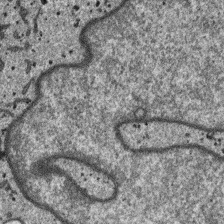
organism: Human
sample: Lung epithelial cells infected with SARS-CoV-2